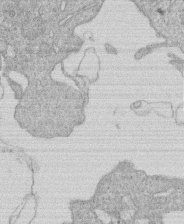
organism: Human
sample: Macrophage cells